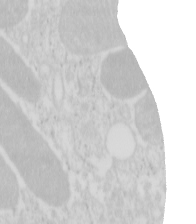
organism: Mouse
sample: Pancreas